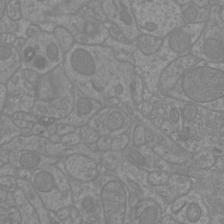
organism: Mouse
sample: Cortical neurons